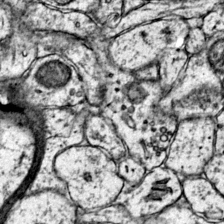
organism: Mouse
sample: Primary visual cortex